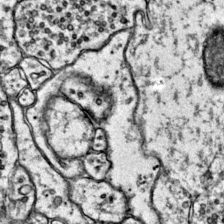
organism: Mouse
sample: Primary visual cortex